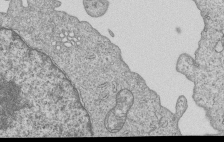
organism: Human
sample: MDA-MB-231 cells